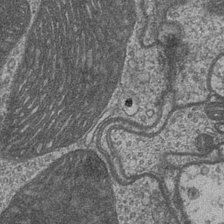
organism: Drosophila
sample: Optic medulla